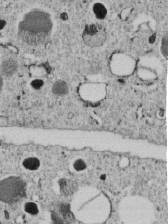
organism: C. elegans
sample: C. elegans embryo early stage